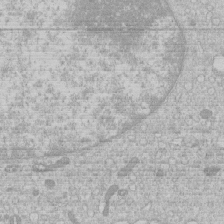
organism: Human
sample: Macrophage cells